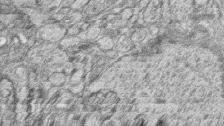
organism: Zebrafish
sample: synaptic ribbons in rod cells and cone cells